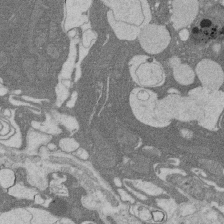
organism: Rat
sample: Salivary granule